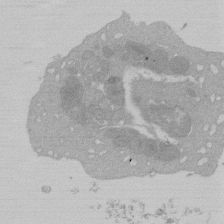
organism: Mouse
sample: Activated Pmel transgenic CD8+ T Cells